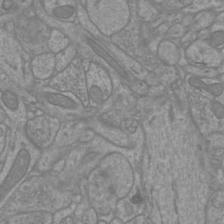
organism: Mouse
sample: Cortical neurons